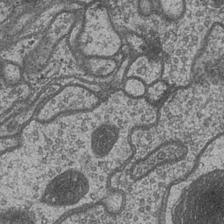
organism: Drosophila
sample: Optic medulla